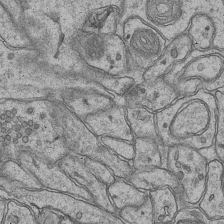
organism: Mouse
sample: CA1 Hippocampus